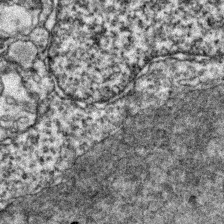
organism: Zebrafish